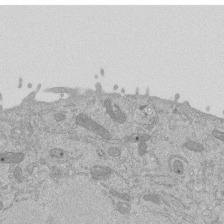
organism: Mouse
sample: ED-1 cell nuclei; centrioles